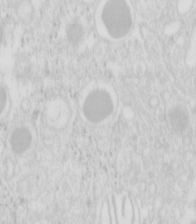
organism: Mouse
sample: Pancreas